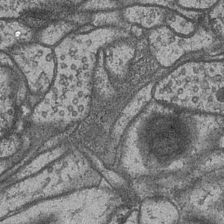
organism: Drosophila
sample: Optic medulla